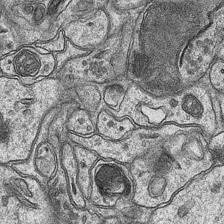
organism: Mouse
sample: CA1 Hippocampus